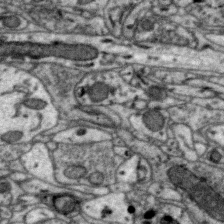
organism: Zebra finch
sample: Brain